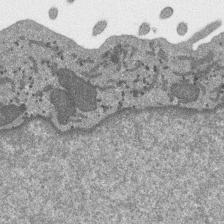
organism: Human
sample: Lung epithelial cells infected with SARS-CoV-2